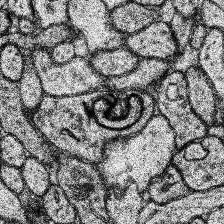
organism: Human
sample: Temporal Lobe